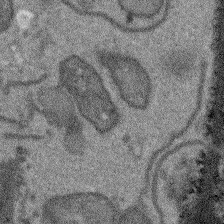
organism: Arabidopsis thaliana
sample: Root tip